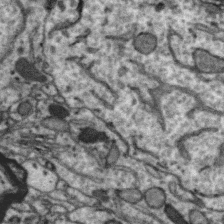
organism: Zebra finch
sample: Brain